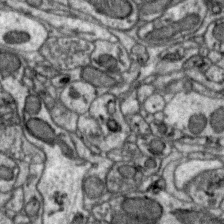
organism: Zebra finch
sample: Brain